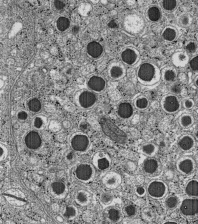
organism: C57BL Mouse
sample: Pancreatic islet